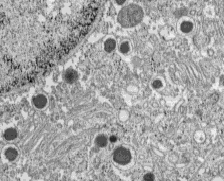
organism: C57BL Mouse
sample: Pancreatic islet